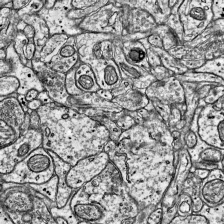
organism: Mouse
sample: Visual Cortex